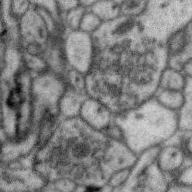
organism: Zebra finch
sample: Brain